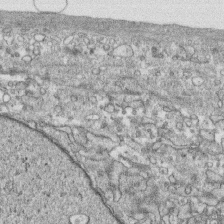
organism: Human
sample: CRL-1474